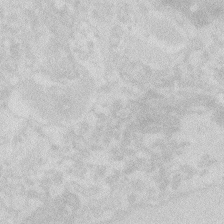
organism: Zebrafish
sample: Macrophage